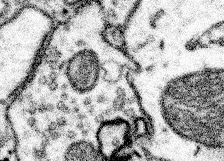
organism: Mouse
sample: Somatosensory cortex neuropil